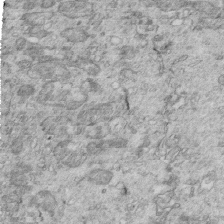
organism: Mouse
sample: Multiciliated cells